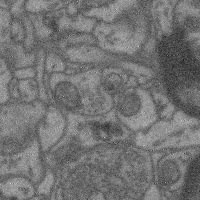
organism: Mouse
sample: Cerebral cortex